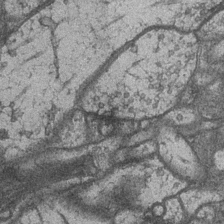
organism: Drosophila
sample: Optic medulla